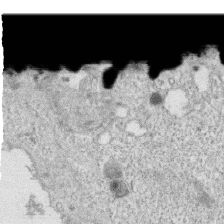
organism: Human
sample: HeLa cell HIV synapse